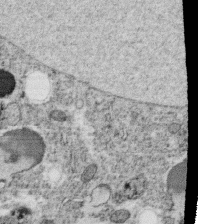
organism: C. elegans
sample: C. elegans oocyte; sperm cells